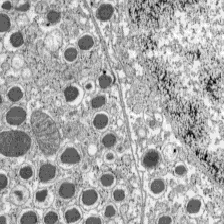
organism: C57BL Mouse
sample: Pancreatic islet